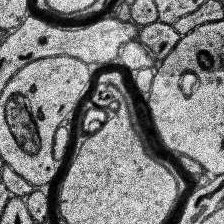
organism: Human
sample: Temporal Lobe